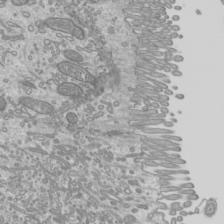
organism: Mouse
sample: Cilia; mouse epididymis